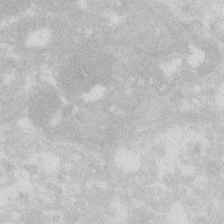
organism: Zebrafish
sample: Macrophage